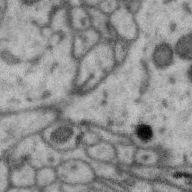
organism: Zebra finch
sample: Brain